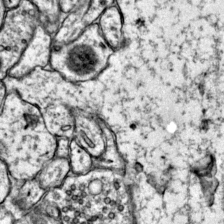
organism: Mouse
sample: Primary visual cortex